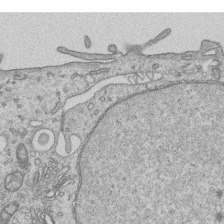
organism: Human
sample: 1205lu cells